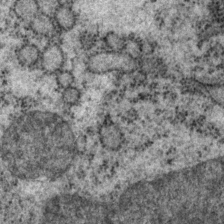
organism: P. pacificus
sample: Pharynx